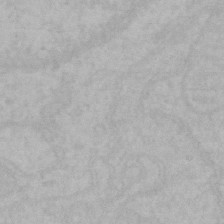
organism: Mouse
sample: Choroid plexus